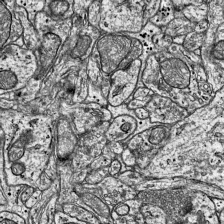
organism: Mouse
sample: Visual Cortex